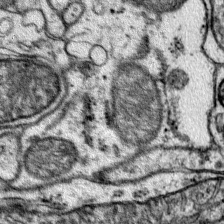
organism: Mouse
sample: Primary visual cortex